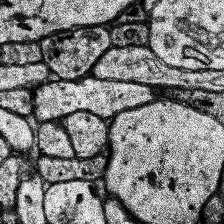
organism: Human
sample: Temporal Lobe